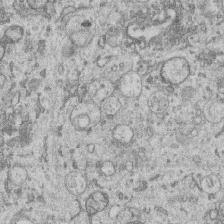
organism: Human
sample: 1205lu cells